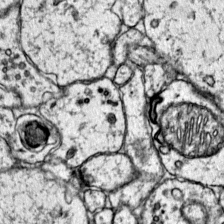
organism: Mouse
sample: Primary visual cortex